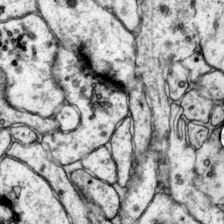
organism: Mouse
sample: Primary visual cortex